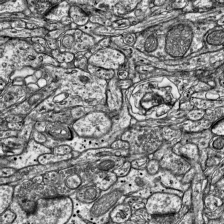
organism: Mouse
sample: Visual Cortex